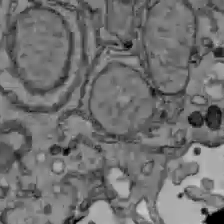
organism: C57BL Mouse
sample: Liver